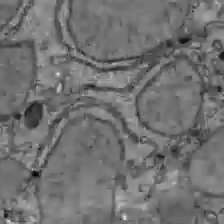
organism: C57BL Mouse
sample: Liver